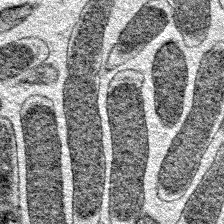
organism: E. coli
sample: E. Coli Bacteria